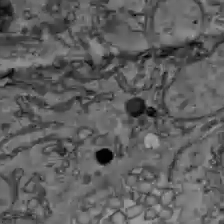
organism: C57BL Mouse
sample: Liver